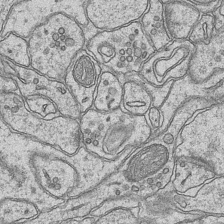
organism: Mouse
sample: CA1 Hippocampus